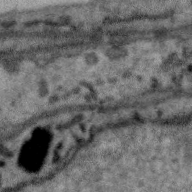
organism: Zebra finch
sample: Brain